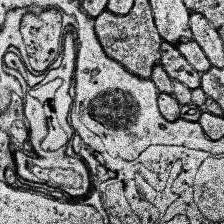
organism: Human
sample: Temporal Lobe